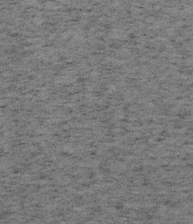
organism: Mouse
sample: OT-I killer T cells with ID8 ovarian cancer cells